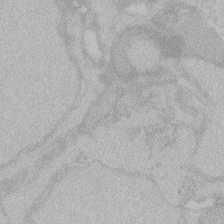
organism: Zebrafish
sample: Macrophage infected with Toxoplasma gondii